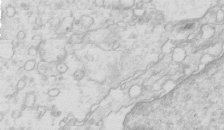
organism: Mouse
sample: Multiciliated cells